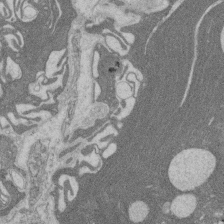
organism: Rat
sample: Salivary granule